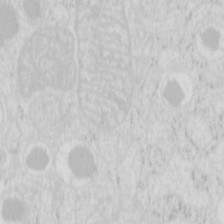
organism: Mouse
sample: Pancreas